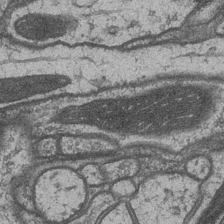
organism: Drosophila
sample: Optic medulla